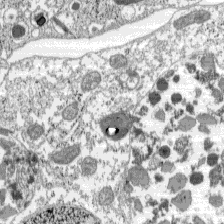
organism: C57BL Mouse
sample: Pancreatic islet